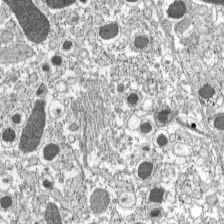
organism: C57BL Mouse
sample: Pancreatic islet